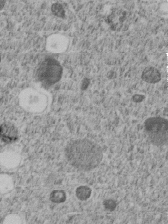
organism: C. elegans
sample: C. elegans embryo early stage